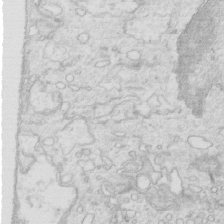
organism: Mouse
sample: Multiciliated cells